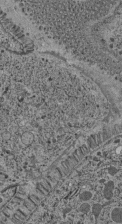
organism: C. elegans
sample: C. elegans pharynx